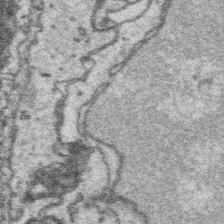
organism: Platynereis dumerilii